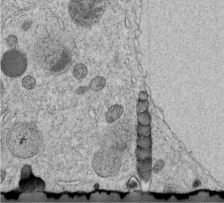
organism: C. elegans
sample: C. elegans embryo early stage